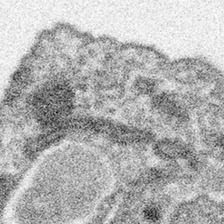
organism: Spongilla lacustris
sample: Neuroid cell